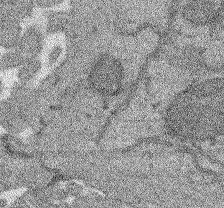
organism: Human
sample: HeLa cells